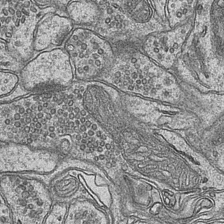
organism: Mouse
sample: CA1 Hippocampus